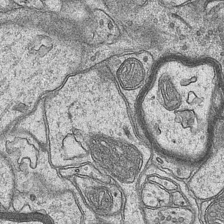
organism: Mouse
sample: CA1 Hippocampus